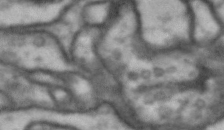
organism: Drosophila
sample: Brain